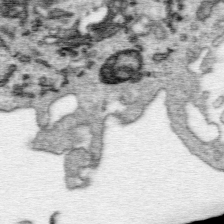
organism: Human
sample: HeLa cells